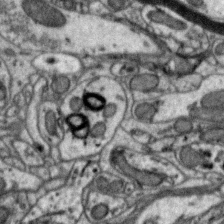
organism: Zebra finch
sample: Brain